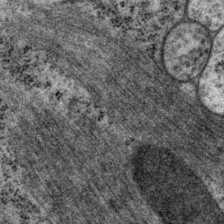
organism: P. pacificus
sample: Pharynx